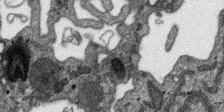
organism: Human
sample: Lung epithelial cells infected with SARS-CoV-2